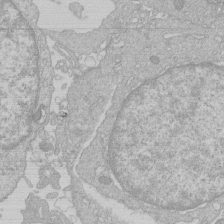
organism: Human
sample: Macrophage cells